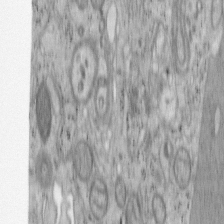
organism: Human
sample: HeLa cells